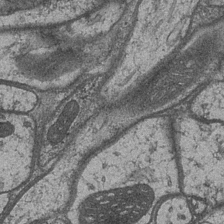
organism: Drosophila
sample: Optic medulla